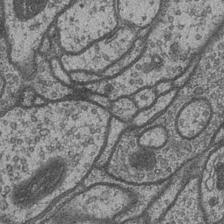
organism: Drosophila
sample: Optic medulla